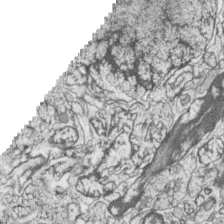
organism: Zebrafish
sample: synaptic ribbons in rod cells and cone cells